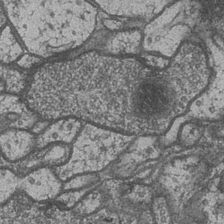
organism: Drosophila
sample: Optic medulla